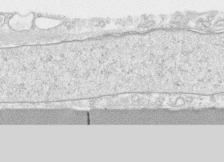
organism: Human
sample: CRL-1474